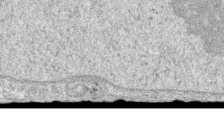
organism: Human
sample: HeLa cell HIV synapse